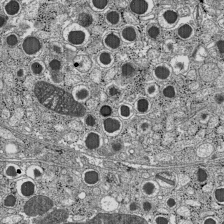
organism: C57BL Mouse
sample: Pancreatic islet